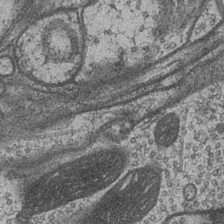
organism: Drosophila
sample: Optic medulla